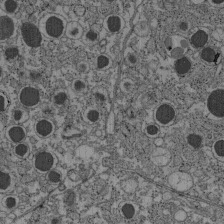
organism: C57BL Mouse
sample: Pancreatic islet